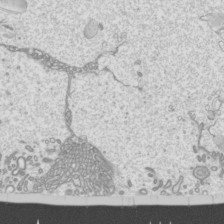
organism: Mouse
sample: Cilia; mouse epididymis